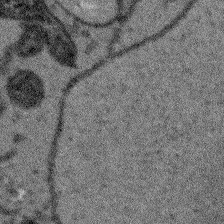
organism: Arabidopsis thaliana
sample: Root tip